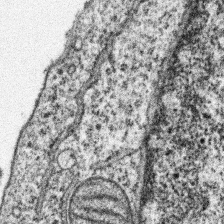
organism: Human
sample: HeLa cells